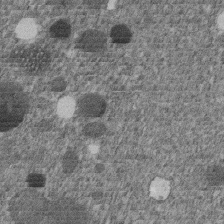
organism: C. elegans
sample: C. elegans embryo early stage